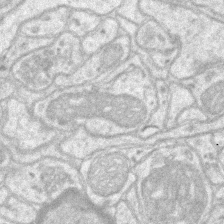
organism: Mouse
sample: CA1 Hippocampus